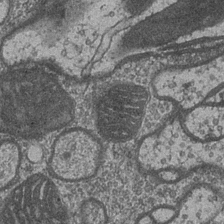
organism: Drosophila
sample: Optic medulla